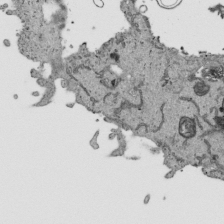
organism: Human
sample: Mitochondria in HCT116 cells